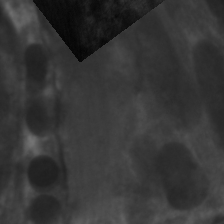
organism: C. elegans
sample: Pharynx